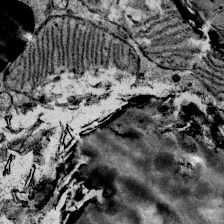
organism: Mouse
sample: Mouse Salivary gland